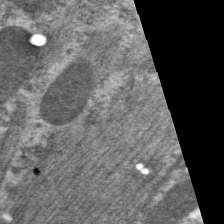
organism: C. elegans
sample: Pharynx